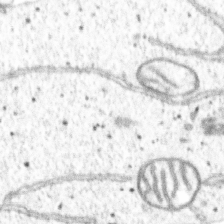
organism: Human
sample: HeLa cells